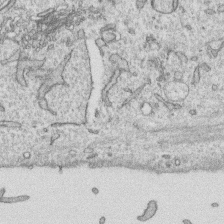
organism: Human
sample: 1205lu cells